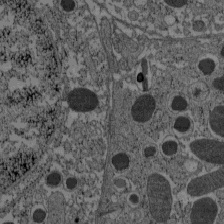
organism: C57BL Mouse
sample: Pancreatic islet